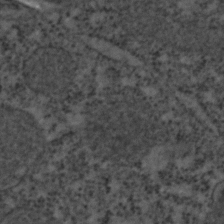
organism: C. elegans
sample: C. elegans embryo